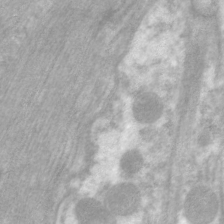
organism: C. elegans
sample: Pharynx